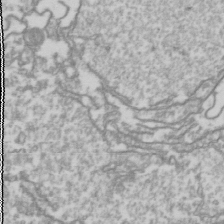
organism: Drosophila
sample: Cell division; meiosis; drosophila spermatocytes